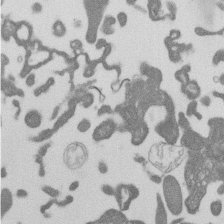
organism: Mouse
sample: Dividing mouse embryo 1 cell stage